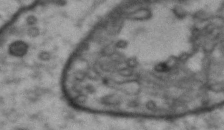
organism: Drosophila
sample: Brain